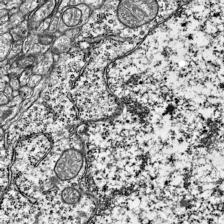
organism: Mouse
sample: Visual Cortex